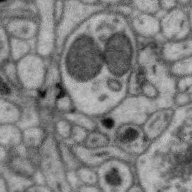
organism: Zebra finch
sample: Brain